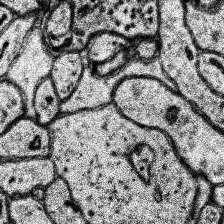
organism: Human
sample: Temporal Lobe